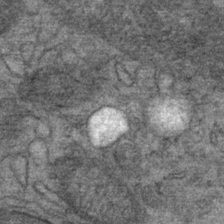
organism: Mouse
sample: Mouse Salivary gland